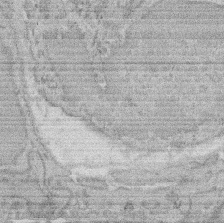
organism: Rat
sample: Salivary granule